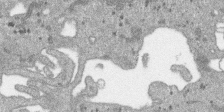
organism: Human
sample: Lung epithelial cells infected with SARS-CoV-2